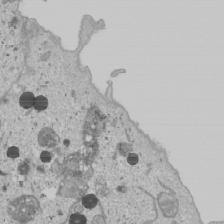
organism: Human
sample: Mitochondria in U2OS cells